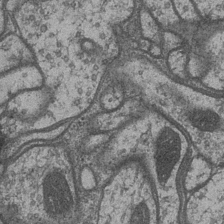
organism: Drosophila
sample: Optic medulla